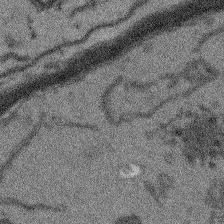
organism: Arabidopsis thaliana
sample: Root tip